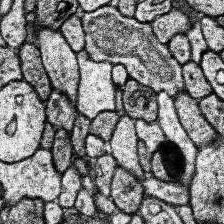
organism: Human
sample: Temporal Lobe